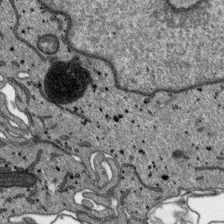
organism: Human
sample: Lung epithelial cells, uninfected (mock) control